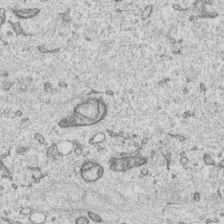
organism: Human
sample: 1205lu cells